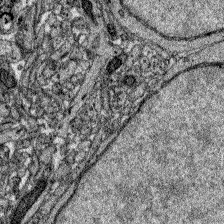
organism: Zebrafish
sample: Larval olfactory bulb